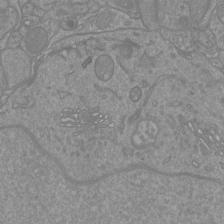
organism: Mouse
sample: Cortical neurons